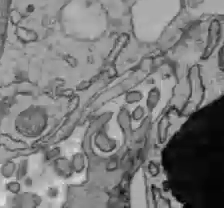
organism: C57BL Mouse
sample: Liver